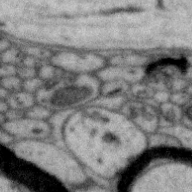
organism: Zebra finch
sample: Brain